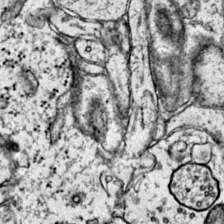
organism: Mouse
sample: Primary visual cortex